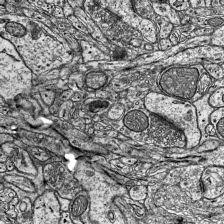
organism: Mouse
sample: Visual Cortex